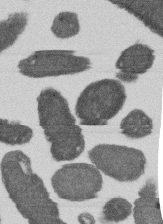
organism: E. coli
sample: Bacterial nucleoid